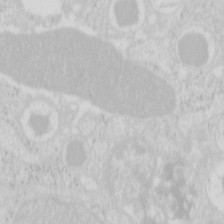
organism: Mouse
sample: Pancreas